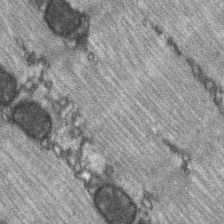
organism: C57BL Mouse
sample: Soleus